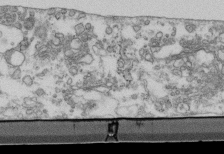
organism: Mouse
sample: Cilia; retinal pigment epithelium